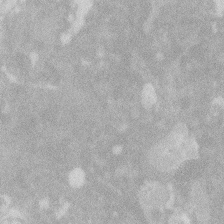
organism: Zebrafish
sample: Macrophage